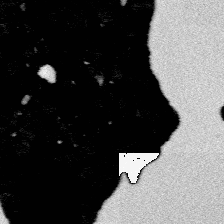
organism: Platynereis dumerilii